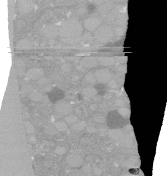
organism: C. elegans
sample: C. elegans oocyte; sperm cells